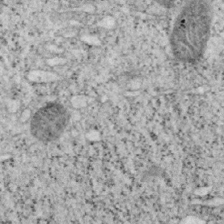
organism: Mouse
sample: OT-I killer T cells with ID8 ovarian cancer cells